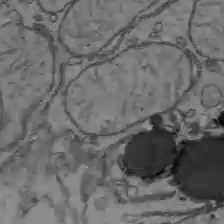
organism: C57BL Mouse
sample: Liver